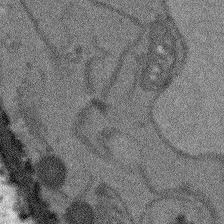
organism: Arabidopsis thaliana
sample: Root tip